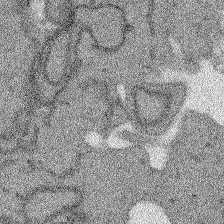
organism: Human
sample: HeLa cells